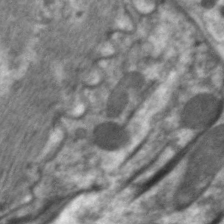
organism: C. elegans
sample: Pharynx